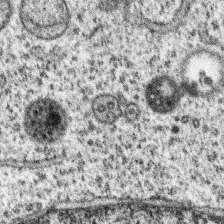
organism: Human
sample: HeLa cells